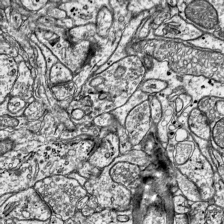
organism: Mouse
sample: Visual Cortex